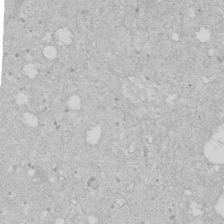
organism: Human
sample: Caco-2 cells